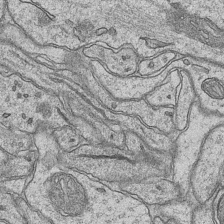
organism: Mouse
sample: CA1 Hippocampus